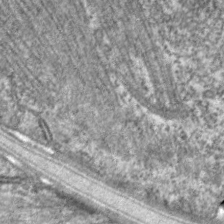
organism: C. elegans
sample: Pharynx